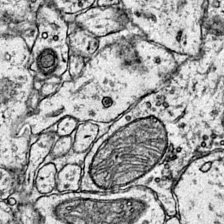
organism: Mouse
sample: Primary visual cortex